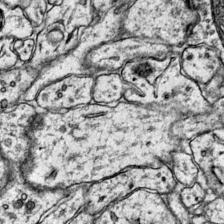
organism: Mouse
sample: Primary visual cortex